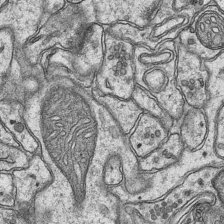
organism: Mouse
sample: CA1 Hippocampus